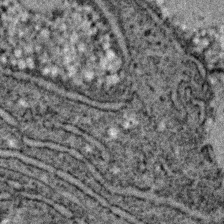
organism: C. elegans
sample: C. elegans embryo